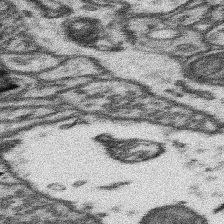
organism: Mouse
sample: Somatosensory cortex neuropil